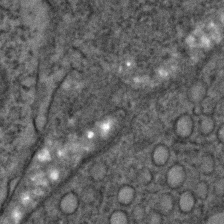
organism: C. elegans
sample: C. elegans embryo